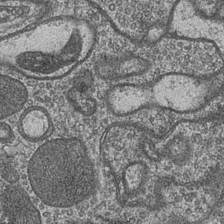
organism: Drosophila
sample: Optic medulla